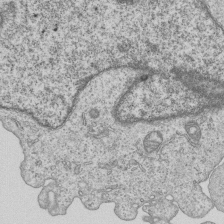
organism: Human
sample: MDA-MB-231 cells